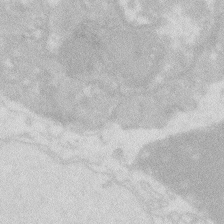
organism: Zebrafish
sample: Macrophage